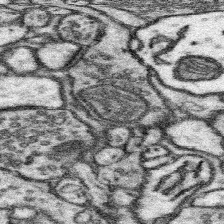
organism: Mouse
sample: Somatosensory cortex neuropil